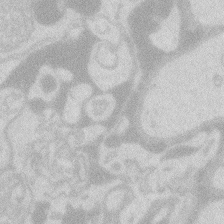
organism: Zebrafish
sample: Macrophage